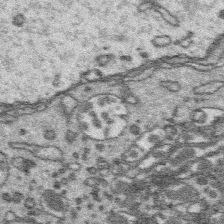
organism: Platynereis dumerilii